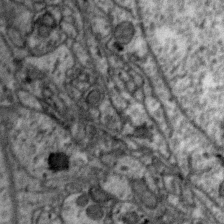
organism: Zebra finch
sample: Brain